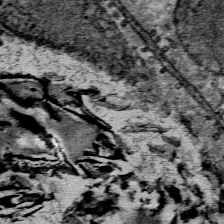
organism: Mouse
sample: Mouse Salivary gland